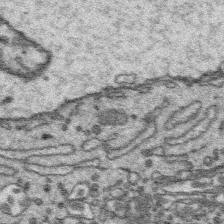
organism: Platynereis dumerilii